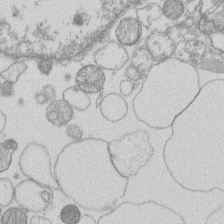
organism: Human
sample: Macrophage cells